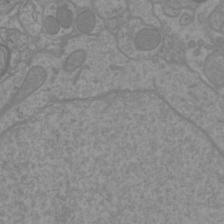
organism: Mouse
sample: Cortical neurons